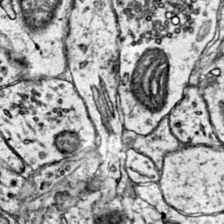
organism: Mouse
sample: Primary visual cortex